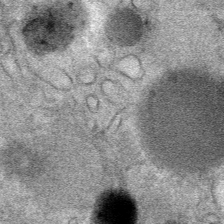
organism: Mouse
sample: Mouse Salivary gland